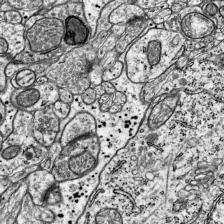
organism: Mouse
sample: Visual Cortex